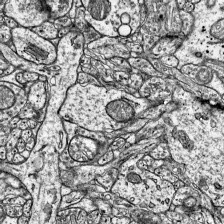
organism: Mouse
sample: Visual Cortex